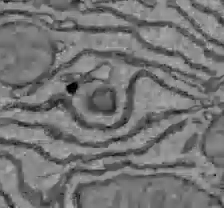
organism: C57BL Mouse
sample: Liver